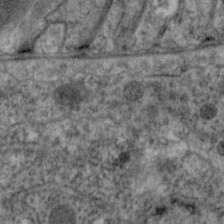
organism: C. elegans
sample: Pharynx